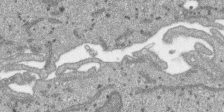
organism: Human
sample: Lung epithelial cells infected with SARS-CoV-2